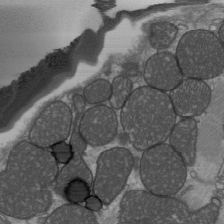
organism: C57BL Mouse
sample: Heart